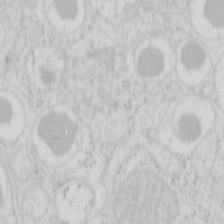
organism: Mouse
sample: Pancreas